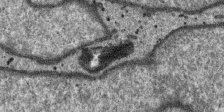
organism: Human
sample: Lung epithelial cells, uninfected (mock) control